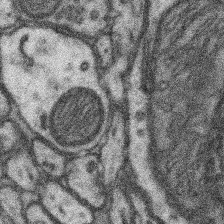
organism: Mouse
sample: Somatosensory cortex neuropil